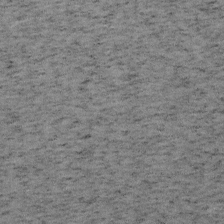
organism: Mouse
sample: OT-I killer T cells with ID8 ovarian cancer cells